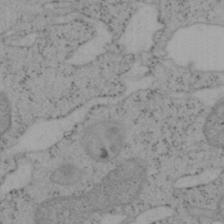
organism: Mouse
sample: OT-I killer T cells with ID8 ovarian cancer cells